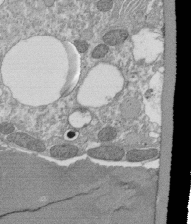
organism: Tetrahymena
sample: Cilia in tetrahymena